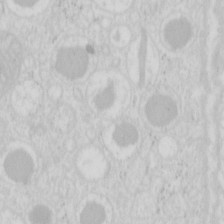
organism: Mouse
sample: Pancreas